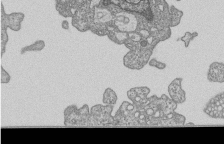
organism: Human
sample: MDA-MB-231 cells